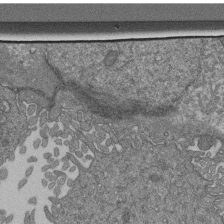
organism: Human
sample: Retinal organoid Rod and Cone cells